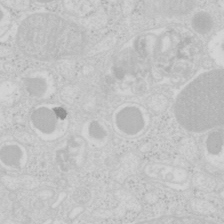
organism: Mouse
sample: Pancreas